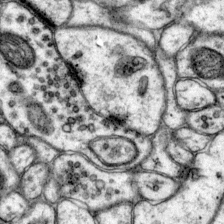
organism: Mouse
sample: Primary visual cortex